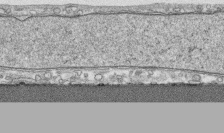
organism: Human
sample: CRL-1474